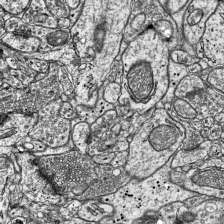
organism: Mouse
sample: Visual Cortex